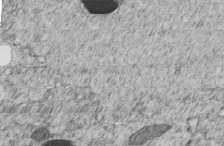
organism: C. elegans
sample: C. elegans embryo early stage